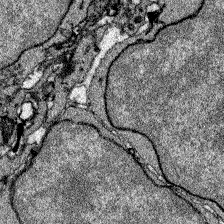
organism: Zebrafish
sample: Larval olfactory bulb